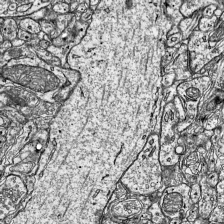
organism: Mouse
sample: Visual Cortex